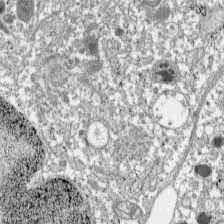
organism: C57BL Mouse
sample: Pancreatic islet